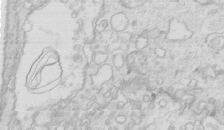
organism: Mouse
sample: Multiciliated cells